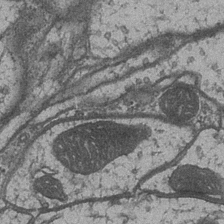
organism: Drosophila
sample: Optic medulla